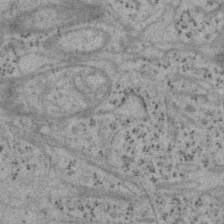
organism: Human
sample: HeLa cells